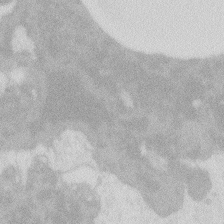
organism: Zebrafish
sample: Macrophage